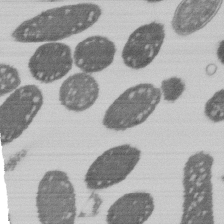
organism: E. coli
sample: Bacterial nucleoid